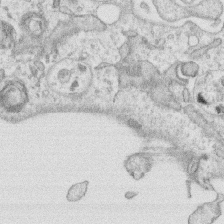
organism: Human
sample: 1205lu cells